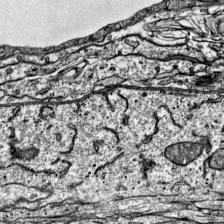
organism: Mouse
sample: Visual Cortex